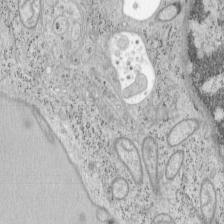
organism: Mouse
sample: OT-I killer T cells with ID8 ovarian cancer cells